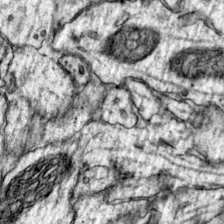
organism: Mouse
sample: Primary visual cortex